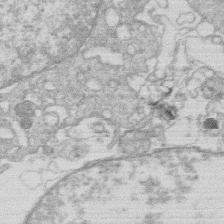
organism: Human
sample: Macrophage cells